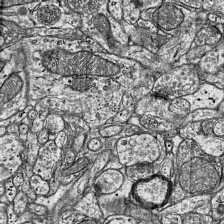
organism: Mouse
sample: Visual Cortex